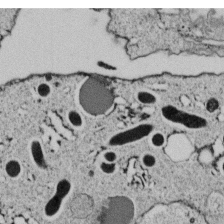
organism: C. elegans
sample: C. elegans embryo early stage